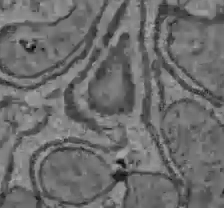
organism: C57BL Mouse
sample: Liver